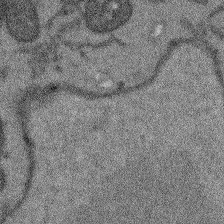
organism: Arabidopsis thaliana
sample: Root tip